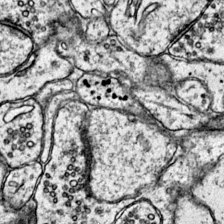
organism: Mouse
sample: Primary visual cortex